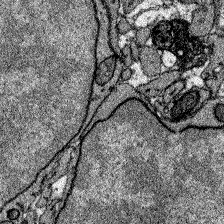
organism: Zebrafish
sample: Larval olfactory bulb